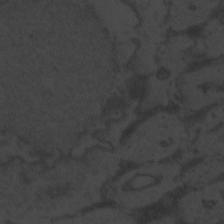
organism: Zebrafish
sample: Macrophage infected with Toxoplasma gondii